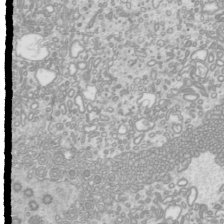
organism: Mouse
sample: Cilia; mouse epididymis